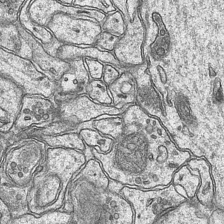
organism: Mouse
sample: CA1 Hippocampus